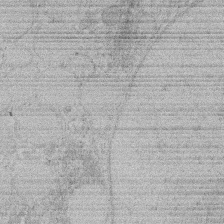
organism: Rat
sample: Salivary granule